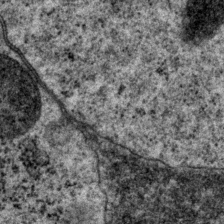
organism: P. pacificus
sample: Pharynx